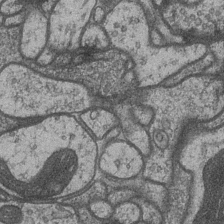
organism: Drosophila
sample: Optic medulla